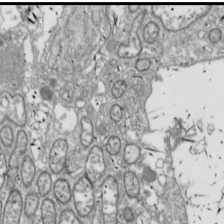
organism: Drosophila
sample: Cell division; meiosis; drosophila spermatocytes